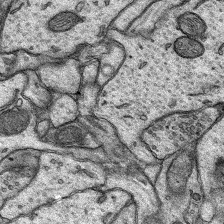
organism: Rat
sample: Hippocampus